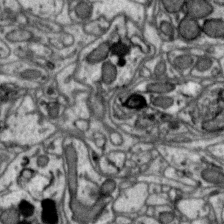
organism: Zebra finch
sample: Brain